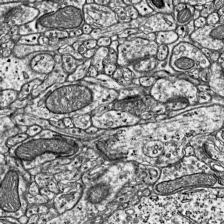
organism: Mouse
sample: Visual Cortex